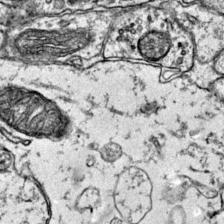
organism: Mouse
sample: Primary visual cortex